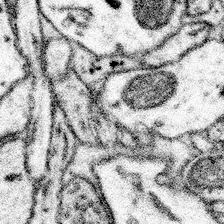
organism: Mouse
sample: Somatosensory cortex neuropil